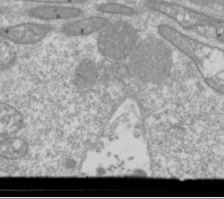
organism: Drosophila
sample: Cell division; meiosis; drosophila spermatocytes